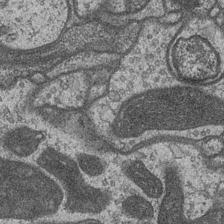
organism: Drosophila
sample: Optic medulla